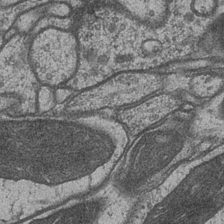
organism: Drosophila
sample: Optic medulla